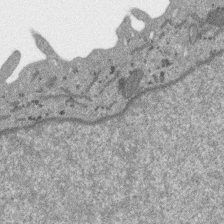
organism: Human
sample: Lung epithelial cells infected with SARS-CoV-2